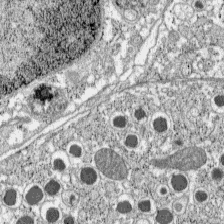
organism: C57BL Mouse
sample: Pancreatic islet